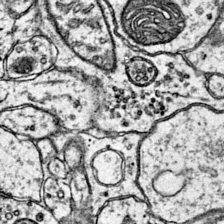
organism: Mouse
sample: Primary visual cortex